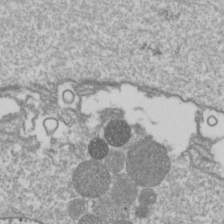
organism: Drosophila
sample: Cell division; meiosis; drosophila spermatocytes